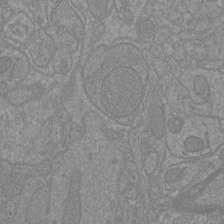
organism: Mouse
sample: Cortical neurons